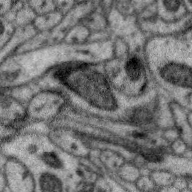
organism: Zebra finch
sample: Brain